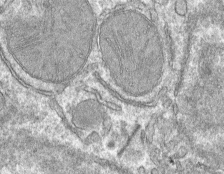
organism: Mouse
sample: Mouse hepatocytes